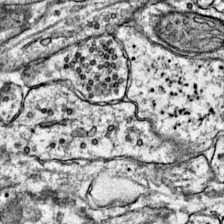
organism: Mouse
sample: Primary visual cortex